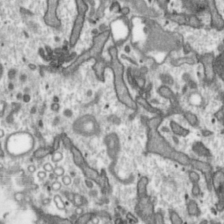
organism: Toxoplasma gondii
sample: Parasites in a vacuole inside a host cell